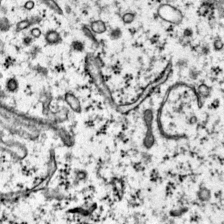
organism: Mouse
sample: Primary visual cortex